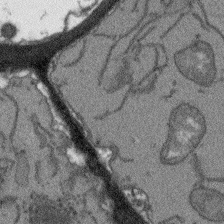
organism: Arabidopsis thaliana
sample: Root tip